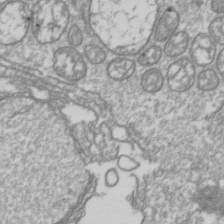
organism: Drosophila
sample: Cell division; meiosis; drosophila spermatocytes